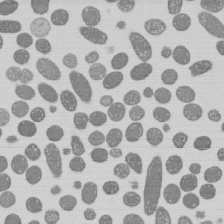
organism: E. coli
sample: Bacterial nucleoid